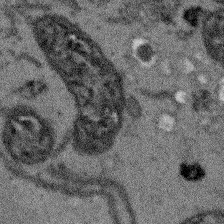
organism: Arabidopsis thaliana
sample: Root tip